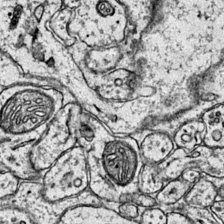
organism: Mouse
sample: Primary visual cortex